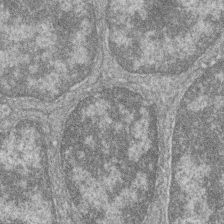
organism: Zebrafish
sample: Cilia; retinal pigment epithelium